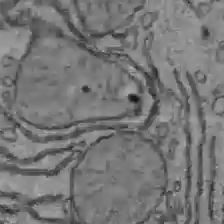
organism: C57BL Mouse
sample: Liver